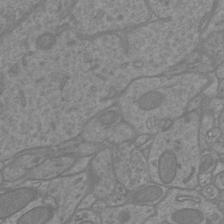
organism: Mouse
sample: Cortical neurons